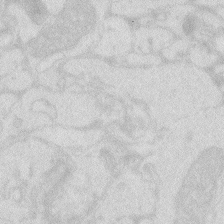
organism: Zebrafish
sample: Macrophage